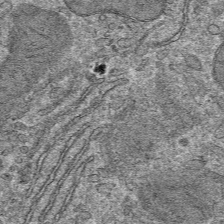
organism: Mouse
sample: Mouse hepatocytes